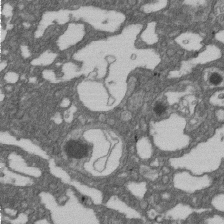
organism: Drosophila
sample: Nephrocyte